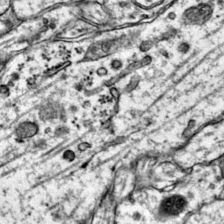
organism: Mouse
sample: Primary visual cortex